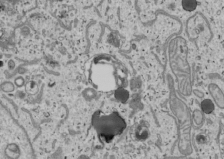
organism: Human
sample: Mitochondria in U2OS cells